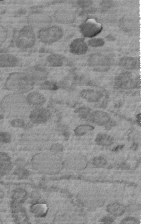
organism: C. elegans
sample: C. elegans embryo early stage